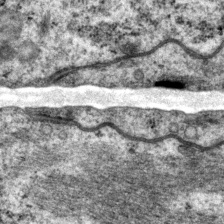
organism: P. pacificus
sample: Pharynx